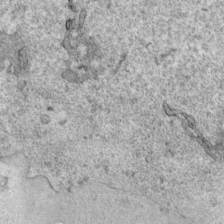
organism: Human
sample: Mitochondria in HCT116 cells